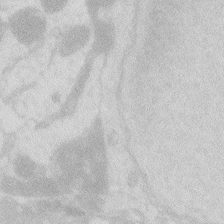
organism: Zebrafish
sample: Macrophage